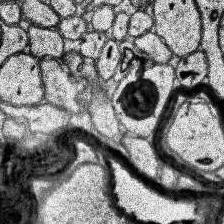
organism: Human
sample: Temporal Lobe